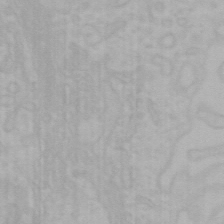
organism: Mouse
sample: Choroid plexus